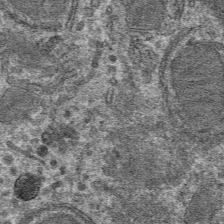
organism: Mouse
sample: Mouse hepatocytes